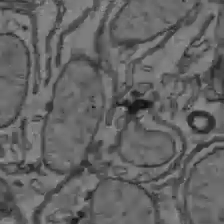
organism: C57BL Mouse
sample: Liver